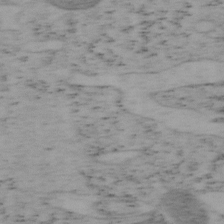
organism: Mouse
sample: OT-I killer T cells with ID8 ovarian cancer cells